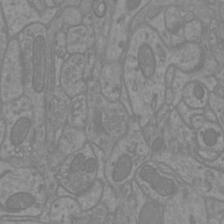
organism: Mouse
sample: Cortical neurons